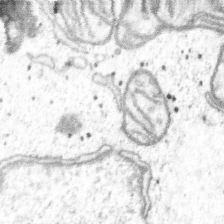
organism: Human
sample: HeLa cells